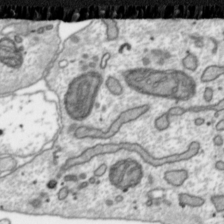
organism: Toxoplasma gondii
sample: Parasites in a vacuole inside a host cell